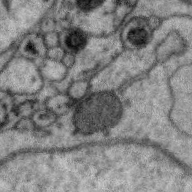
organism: Zebra finch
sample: Brain